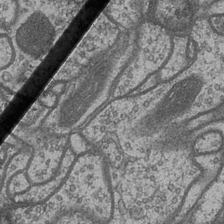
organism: Drosophila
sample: Optic medulla